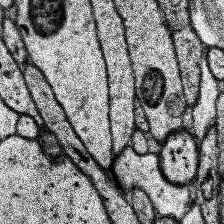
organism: Human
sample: Temporal Lobe